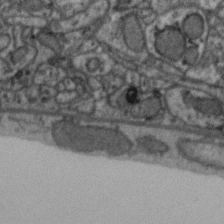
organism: Zebra finch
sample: Brain